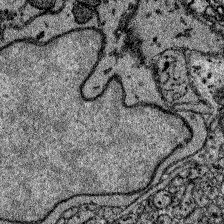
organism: Zebrafish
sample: Larval olfactory bulb